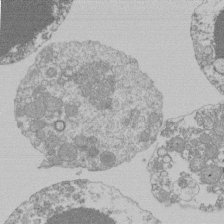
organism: Mouse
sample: Activated Pmel transgenic CD8+ T Cells